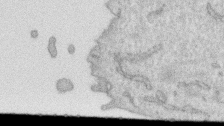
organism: Human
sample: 1205lu cells